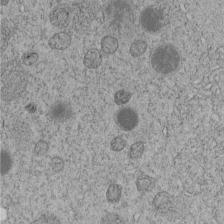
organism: C. elegans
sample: C. elegans embryo early stage